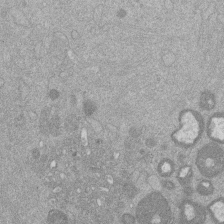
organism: Mouse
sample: Dividing mouse embryo 1 cell stage